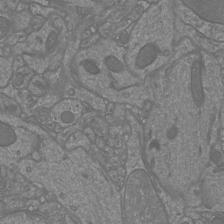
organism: Mouse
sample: Cortical neurons